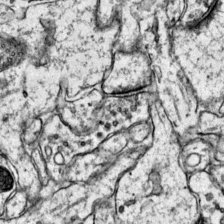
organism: Mouse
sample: Primary visual cortex